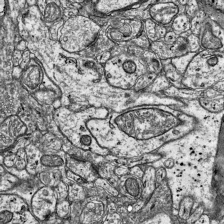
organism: Mouse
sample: Visual Cortex